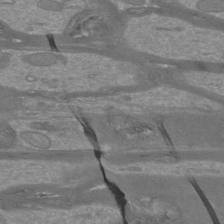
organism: Mouse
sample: Cortical neurons